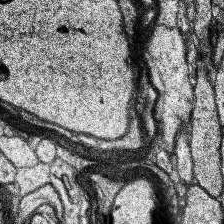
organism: Human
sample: Temporal Lobe